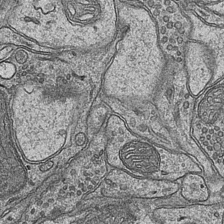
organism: Mouse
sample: CA1 Hippocampus